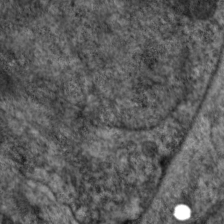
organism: C. elegans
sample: Pharynx